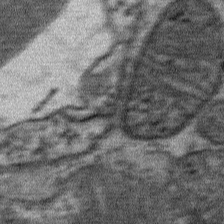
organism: Mouse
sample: Mouse Salivary gland